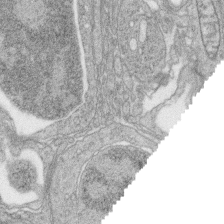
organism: Zebrafish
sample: synaptic ribbons in rod cells and cone cells